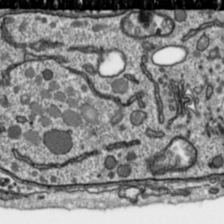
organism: Toxoplasma gondii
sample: Parasites in a vacuole inside a host cell